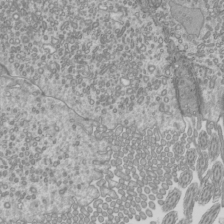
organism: Mouse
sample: Cilia; mouse epididymis